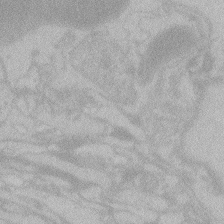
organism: Zebrafish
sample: Macrophage infected with Toxoplasma gondii